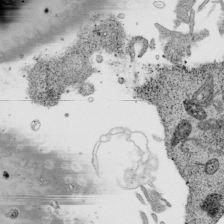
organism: Human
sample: Mitochondria in HCT116 cells